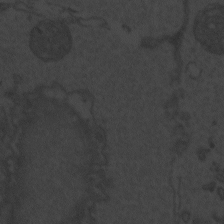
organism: Zebrafish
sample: Macrophage infected with Toxoplasma gondii